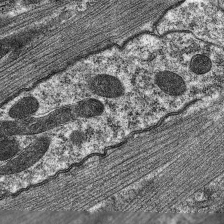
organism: C. elegans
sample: Pharynx